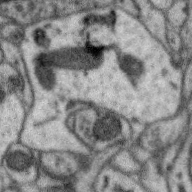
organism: Zebra finch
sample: Brain